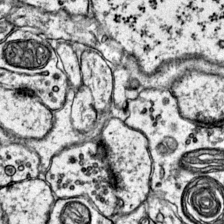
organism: Mouse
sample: Primary visual cortex